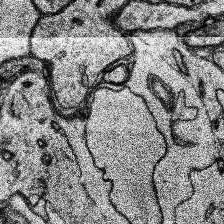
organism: Human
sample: Temporal Lobe